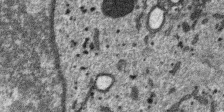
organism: Human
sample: Lung epithelial cells infected with SARS-CoV-2